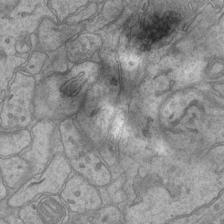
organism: Mouse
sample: CA1 Hippocampus